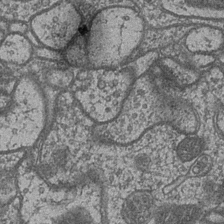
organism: Drosophila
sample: Optic medulla